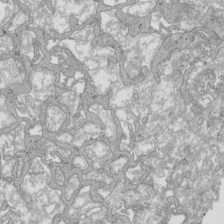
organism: Human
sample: Mitochondria in HCT116 cells